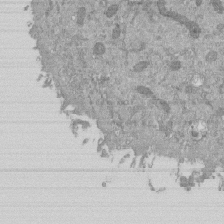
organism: Mouse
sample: ED-1 cell nuclei; centrioles